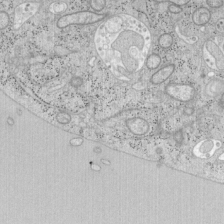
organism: Mouse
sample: OT-I killer T cells with ID8 ovarian cancer cells